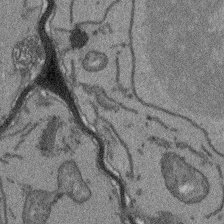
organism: Arabidopsis thaliana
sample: Root tip